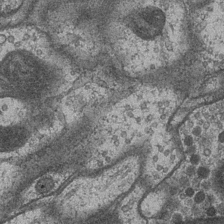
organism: Drosophila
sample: Optic medulla